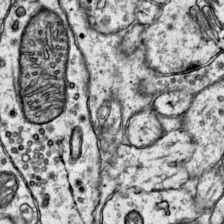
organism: Mouse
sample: Primary visual cortex